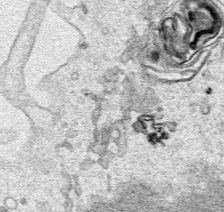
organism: Human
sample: Mitochondria in HCT116 cells